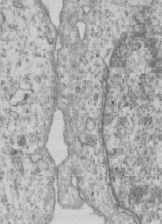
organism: Human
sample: MDA-MB-231 cells